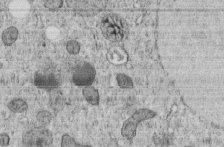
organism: C. elegans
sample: C. elegans embryo early stage